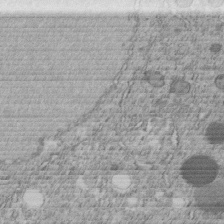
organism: C. elegans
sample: C. elegans embryo early stage